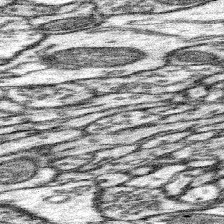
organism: Mouse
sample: Somatosensory cortex neuropil